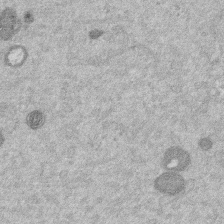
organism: Mouse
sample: Dividing mouse embryo 1 cell stage